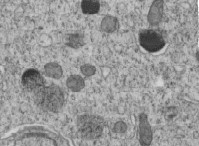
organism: C. elegans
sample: C. elegans embryo early stage